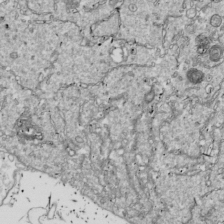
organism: Drosophila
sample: Cell division; meiosis; drosophila spermatocytes